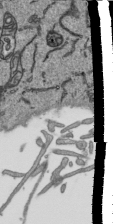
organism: Human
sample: Mitochondria in HCT116 cells